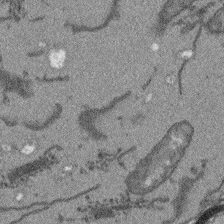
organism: Arabidopsis thaliana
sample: Root tip